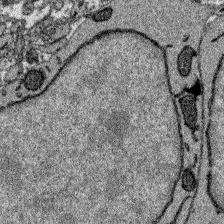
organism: Zebrafish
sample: Larval olfactory bulb